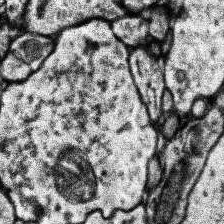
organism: Human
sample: Temporal Lobe